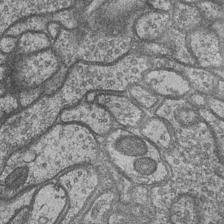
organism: Drosophila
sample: Optic medulla